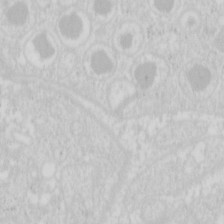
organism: Mouse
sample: Pancreas